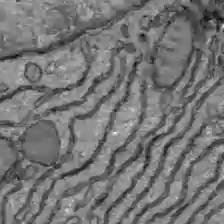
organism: C57BL Mouse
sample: Liver